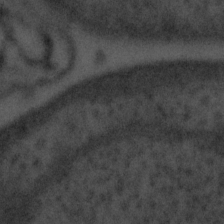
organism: Tuwongella immobilis